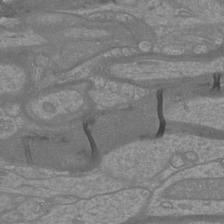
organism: Mouse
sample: Cortical neurons